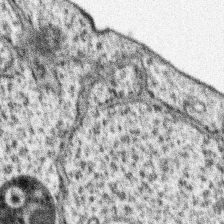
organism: Human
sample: HeLa cells